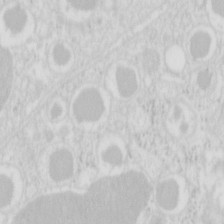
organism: Mouse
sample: Pancreas